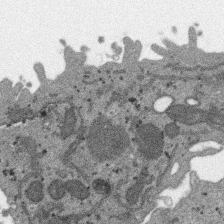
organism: Human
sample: Lung epithelial cells infected with SARS-CoV-2